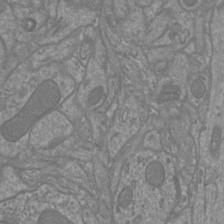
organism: Mouse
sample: Cortical neurons